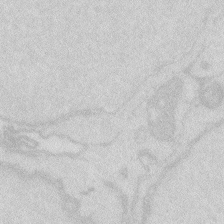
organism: Zebrafish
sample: Macrophage